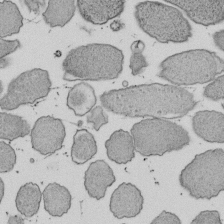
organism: E. coli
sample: Bacterial nucleoid